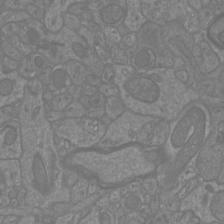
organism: Mouse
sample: Cortical neurons